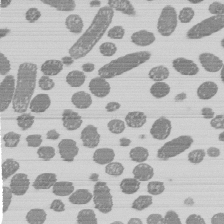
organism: E. coli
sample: Bacterial nucleoid